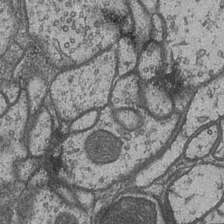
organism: Drosophila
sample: Optic medulla